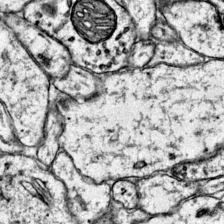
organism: Mouse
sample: Primary visual cortex